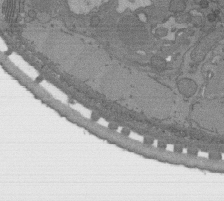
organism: C. elegans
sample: AFD neurons C. elegans